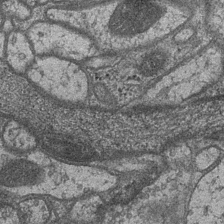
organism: Drosophila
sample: Optic medulla